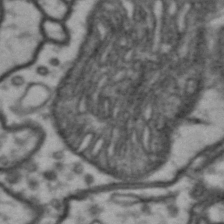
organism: Drosophila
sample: Brain